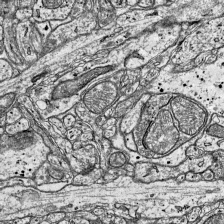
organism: Mouse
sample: Visual Cortex